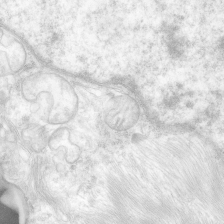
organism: Human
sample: Neocortex